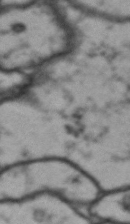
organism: Drosophila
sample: Brain